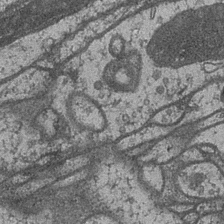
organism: Drosophila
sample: Optic medulla